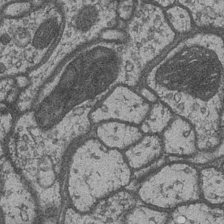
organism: Drosophila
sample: Optic medulla